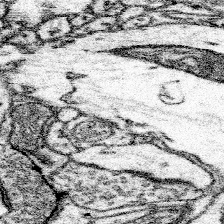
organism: Mouse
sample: Somatosensory cortex neuropil